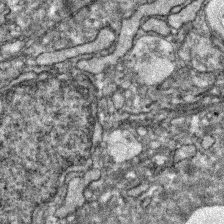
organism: Zebrafish